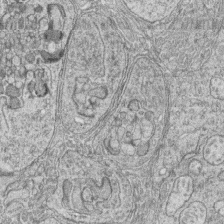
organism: Zebrafish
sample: synaptic ribbons in rod cells and cone cells